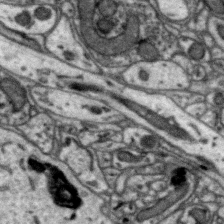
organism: Zebra finch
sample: Brain